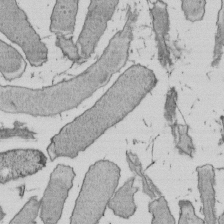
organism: E. coli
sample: Bacterial nucleoid